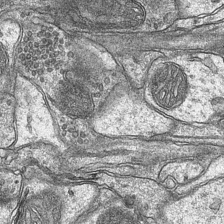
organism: Mouse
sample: CA1 Hippocampus